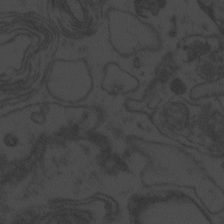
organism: Zebrafish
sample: Macrophage infected with Toxoplasma gondii